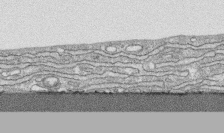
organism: Human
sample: CRL-1474